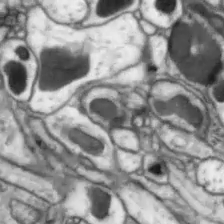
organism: Drosophila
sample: Optic lobe